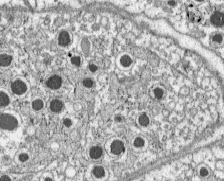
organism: C57BL Mouse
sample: Pancreatic islet